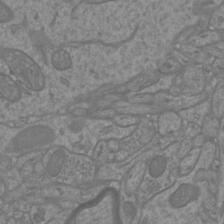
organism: Mouse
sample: Cortical neurons